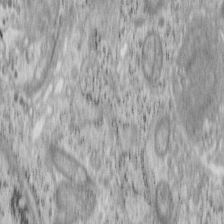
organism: Human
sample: HeLa cells